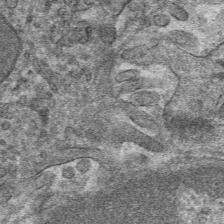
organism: Mouse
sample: Mouse hepatocytes